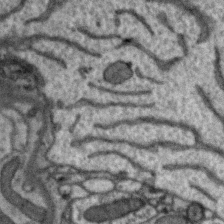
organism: Zebra finch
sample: Brain